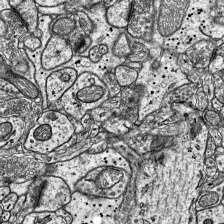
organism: Mouse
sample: Visual Cortex